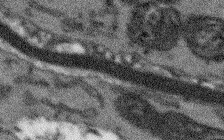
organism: Arabidopsis thaliana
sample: Root tip